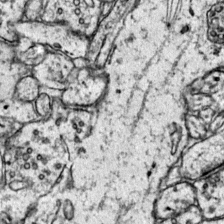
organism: Mouse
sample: Primary visual cortex